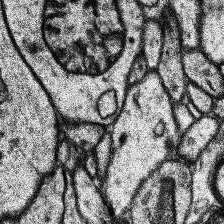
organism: Human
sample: Temporal Lobe